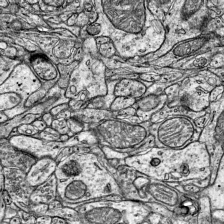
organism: Mouse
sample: Visual Cortex